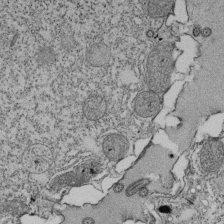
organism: Tetrahymena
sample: Cilia in tetrahymena